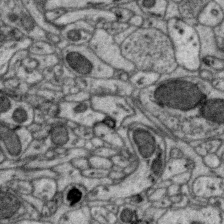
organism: Zebra finch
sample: Brain